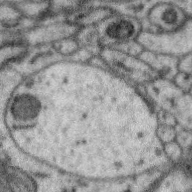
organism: Zebra finch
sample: Brain